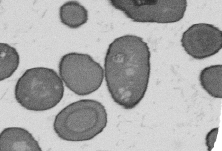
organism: B. subtilis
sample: Bacterial spore